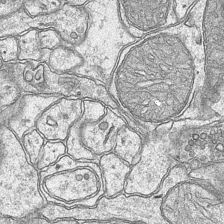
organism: Mouse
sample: CA1 Hippocampus